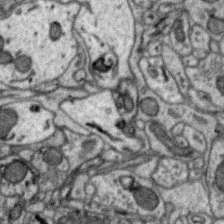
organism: Zebra finch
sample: Brain